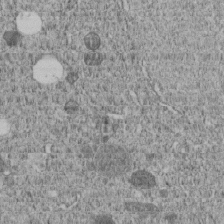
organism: C. elegans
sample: C. elegans embryo early stage